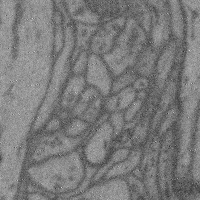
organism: Mouse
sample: Cerebral cortex